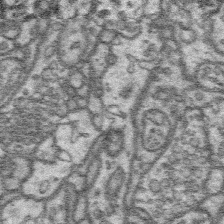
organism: Platynereis dumerilii